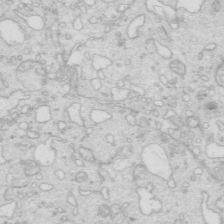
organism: Mouse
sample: Multiciliated cells